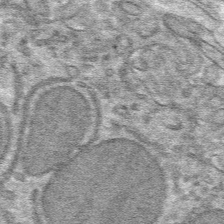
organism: Mouse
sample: Mouse hepatocytes